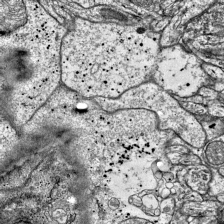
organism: Mouse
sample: Visual Cortex